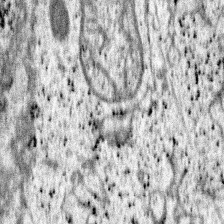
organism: Human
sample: HeLa cells